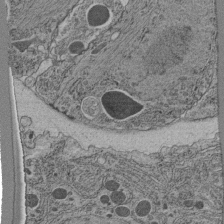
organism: C. elegans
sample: C. elegans pharynx